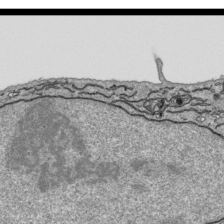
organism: Human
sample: Mitochondria in HCT116 cells